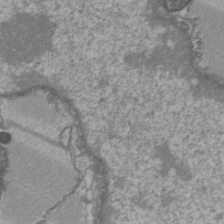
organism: C57BL Mouse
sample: Heart